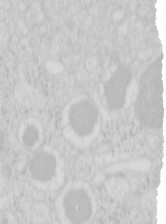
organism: Mouse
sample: Pancreas